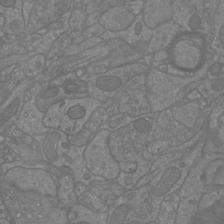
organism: Mouse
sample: Cortical neurons